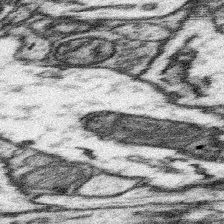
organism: Mouse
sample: Somatosensory cortex neuropil